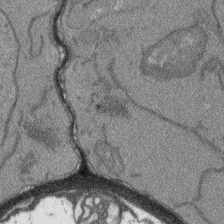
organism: Arabidopsis thaliana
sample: Root tip